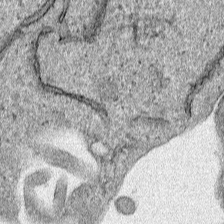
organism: Human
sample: Mitochondria in HCT116 cells